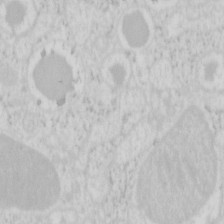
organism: Mouse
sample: Pancreas